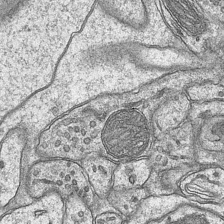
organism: Mouse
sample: CA1 Hippocampus